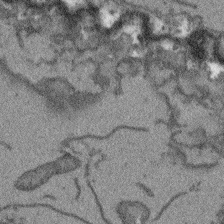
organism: Arabidopsis thaliana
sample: Root tip